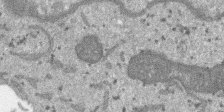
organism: Human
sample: Lung epithelial cells infected with SARS-CoV-2